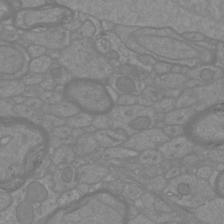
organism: Mouse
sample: Cortical neurons